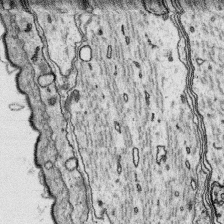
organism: Platynereis dumerilii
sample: Parapodia